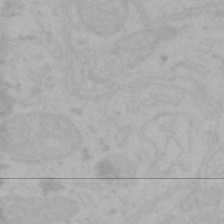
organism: Mouse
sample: Choroid plexus